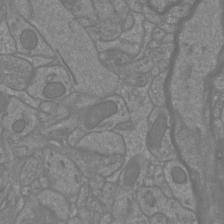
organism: Mouse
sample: Cortical neurons